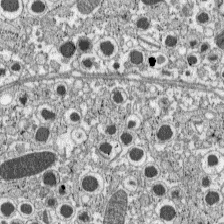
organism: C57BL Mouse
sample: Pancreatic islet